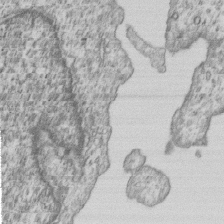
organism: Human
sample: MDA-MB-231 cells